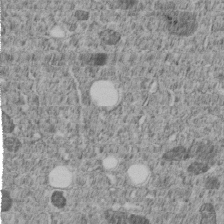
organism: C. elegans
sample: C. elegans embryo early stage